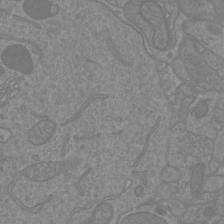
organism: Mouse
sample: Cortical neurons